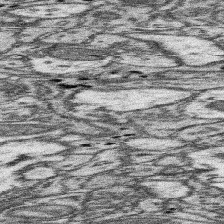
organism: Mouse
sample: Somatosensory cortex neuropil